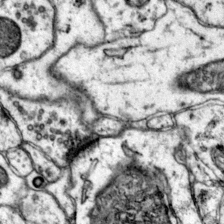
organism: Mouse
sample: Primary visual cortex